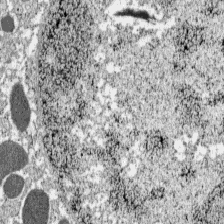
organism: C57BL Mouse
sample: Pancreatic islet